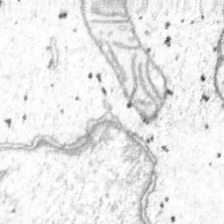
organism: Human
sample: HeLa cells